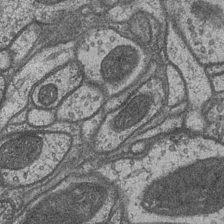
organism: Drosophila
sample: Optic medulla